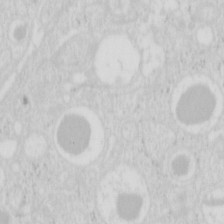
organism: Mouse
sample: Pancreas